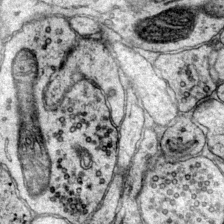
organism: Mouse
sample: Primary visual cortex